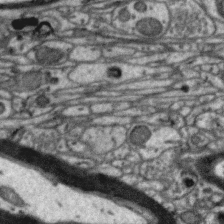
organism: Zebra finch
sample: Brain